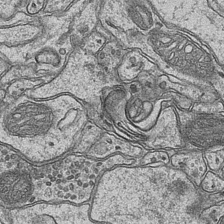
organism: Mouse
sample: CA1 Hippocampus